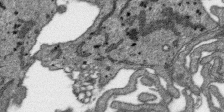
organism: Human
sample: Lung epithelial cells, uninfected (mock) control